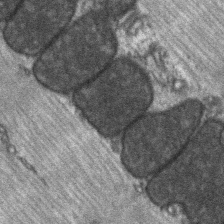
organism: C57BL Mouse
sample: Soleus